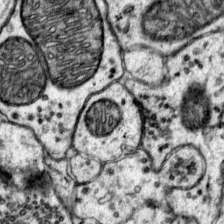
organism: Mouse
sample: Primary visual cortex